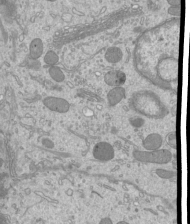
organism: Mouse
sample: Cilia; mouse epididymis